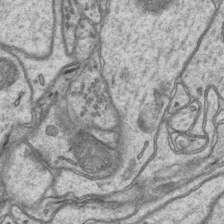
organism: Mouse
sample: CA1 Hippocampus